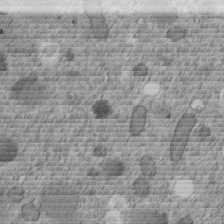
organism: C. elegans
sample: C. elegans embryo early stage